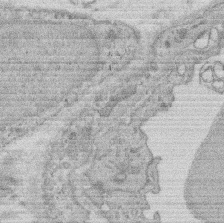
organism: Rat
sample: Salivary granule